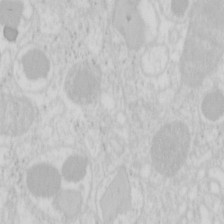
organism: Mouse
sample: Pancreas